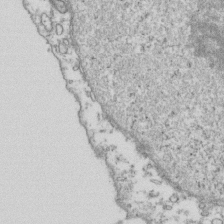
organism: Human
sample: Activated Jurkat CD4+ T cells